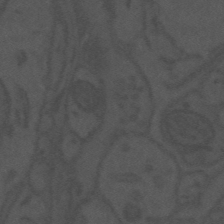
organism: Mouse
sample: Suprachiasmatic nucleus